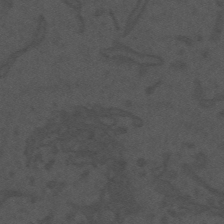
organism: Mouse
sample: Suprachiasmatic nucleus